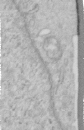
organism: Human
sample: Centriole in RPE cells